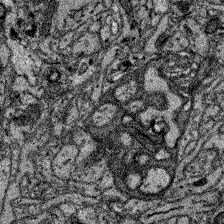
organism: Zebrafish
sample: Larval olfactory bulb